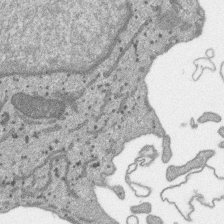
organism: Human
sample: Lung epithelial cells infected with SARS-CoV-2